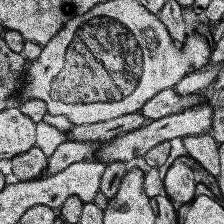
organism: Human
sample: Temporal Lobe